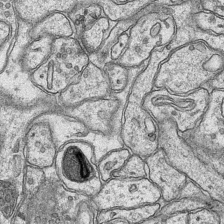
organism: Mouse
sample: CA1 Hippocampus